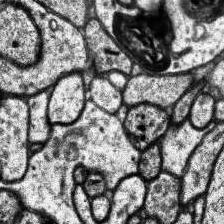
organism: Human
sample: Temporal Lobe